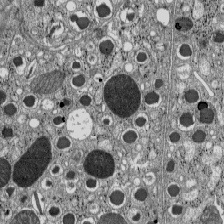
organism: C57BL Mouse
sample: Pancreatic islet